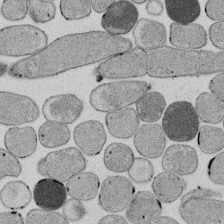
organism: E. coli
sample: Bacterial nucleoid